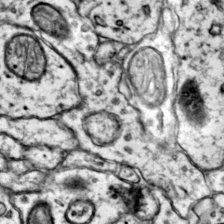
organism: Mouse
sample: Primary visual cortex